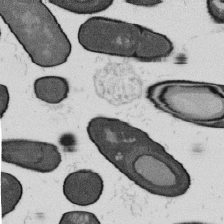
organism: B. subtilis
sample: Bacterial spore